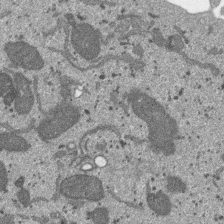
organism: Human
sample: Lung epithelial cells infected with SARS-CoV-2